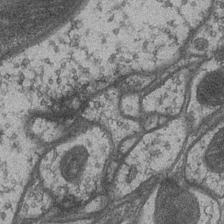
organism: Drosophila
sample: Optic medulla